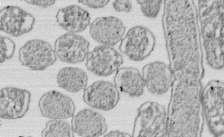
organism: E. coli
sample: Bacterial nucleoid